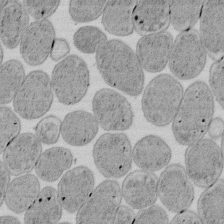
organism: E. coli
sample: Bacterial nucleoid